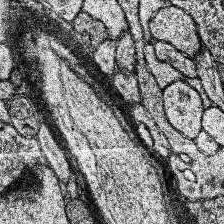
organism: Human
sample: Temporal Lobe